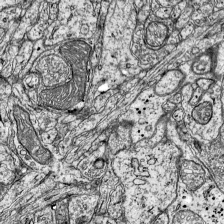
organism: Mouse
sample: Visual Cortex